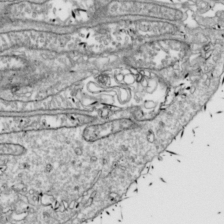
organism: Drosophila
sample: Cell division; meiosis; drosophila spermatocytes